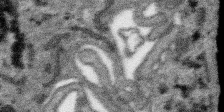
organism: Human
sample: Lung epithelial cells infected with SARS-CoV-2